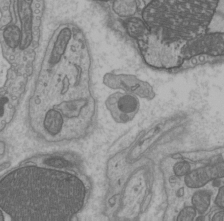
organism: C57BL Mouse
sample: Heart